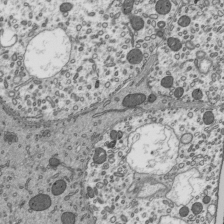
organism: Mouse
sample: Mouse epididymis efferent ductule cilia